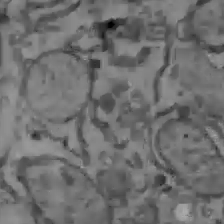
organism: C57BL Mouse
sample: Liver